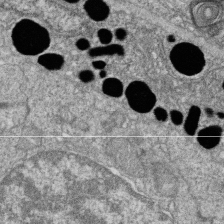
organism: Zebrafish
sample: Cilia; retinal pigment epithelium